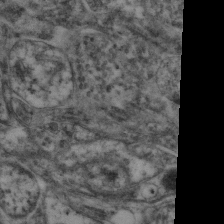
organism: Mouse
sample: Neocortex